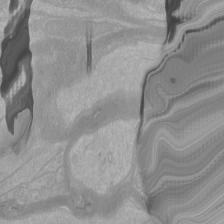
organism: Mouse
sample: Cortical neurons